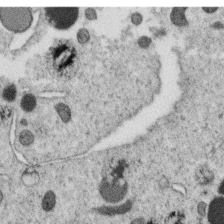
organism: C. elegans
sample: C. elegans oocyte; sperm cells